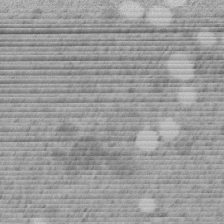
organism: C. elegans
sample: C. elegans embryo early stage